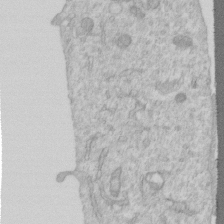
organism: Human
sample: Centriole in RPE cells